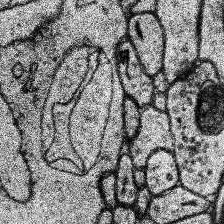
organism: Human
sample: Temporal Lobe